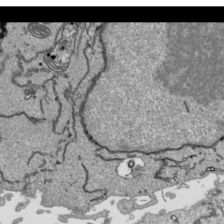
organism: Human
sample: Mitochondria in HCT116 cells